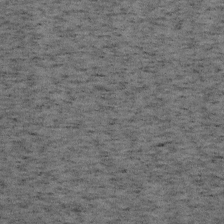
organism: Mouse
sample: OT-I killer T cells with ID8 ovarian cancer cells